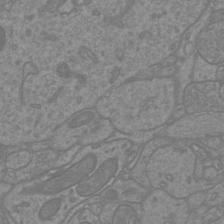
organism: Mouse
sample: Cortical neurons